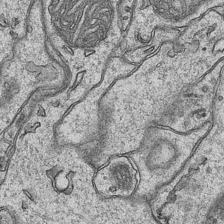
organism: Mouse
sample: CA1 Hippocampus